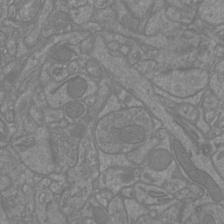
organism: Mouse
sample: Cortical neurons